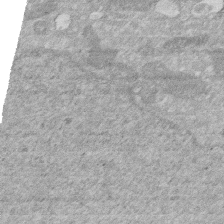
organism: Human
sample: HIV infected U937 cells